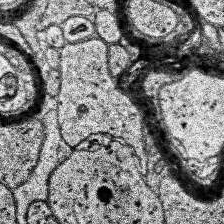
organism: Human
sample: Temporal Lobe